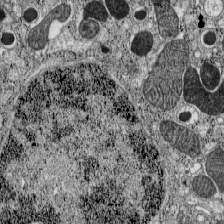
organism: C57BL Mouse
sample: Pancreatic islet